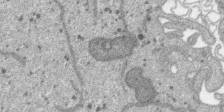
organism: Human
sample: Lung epithelial cells infected with SARS-CoV-2